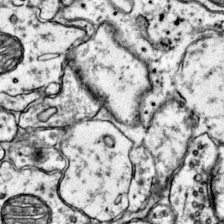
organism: Mouse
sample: Primary visual cortex